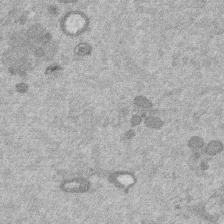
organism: Mouse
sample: Dividing mouse embryo 1 cell stage